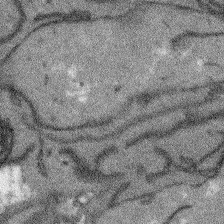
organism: Arabidopsis thaliana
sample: Root tip